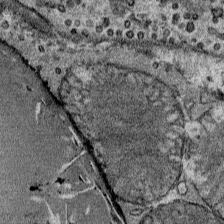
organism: Mouse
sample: Mouse Salivary gland